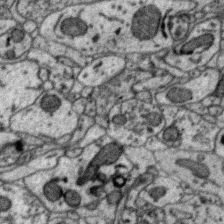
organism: Zebra finch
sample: Brain